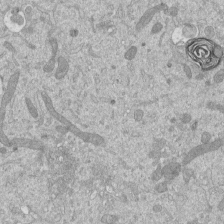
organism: Mouse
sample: ED-1 cell nuclei; centrioles